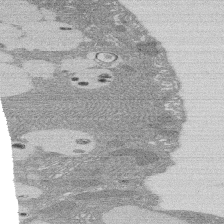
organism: Rat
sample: Salivary granule